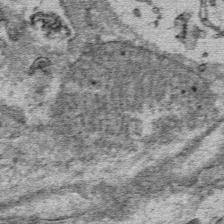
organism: Mouse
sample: Mouse Salivary gland